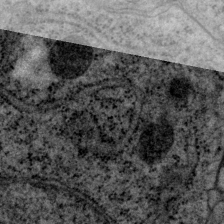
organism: P. pacificus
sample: Pharynx